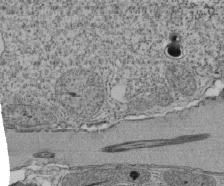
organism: Tetrahymena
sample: Cilia in tetrahymena